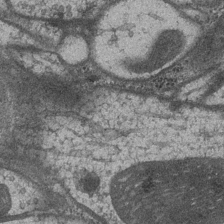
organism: Drosophila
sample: Optic medulla